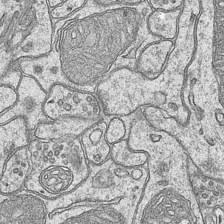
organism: Mouse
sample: CA1 Hippocampus